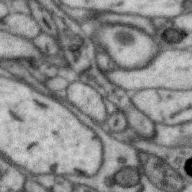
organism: Zebra finch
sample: Brain